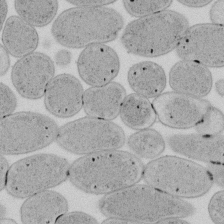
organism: E. coli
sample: Bacterial nucleoid